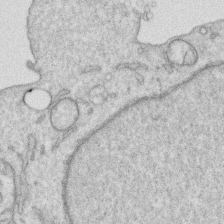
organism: Human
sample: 1205lu cells